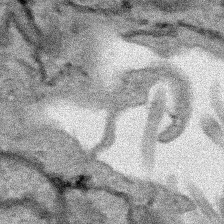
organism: Human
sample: Mitochondria in HCT116 cells